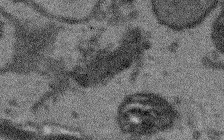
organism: Arabidopsis thaliana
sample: Root tip